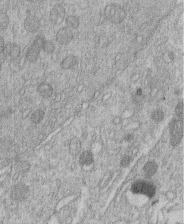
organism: Human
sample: Macrophage cells